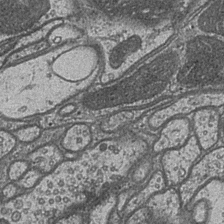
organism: Drosophila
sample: Optic medulla